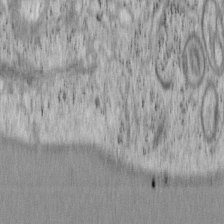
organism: Human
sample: HeLa cells